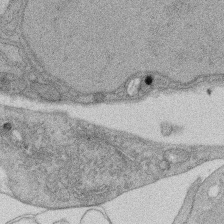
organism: Rat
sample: Salivary granule